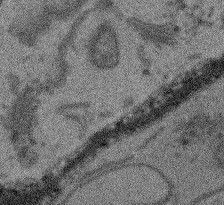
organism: Arabidopsis thaliana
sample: Root tip